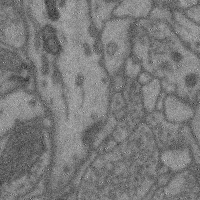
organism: Mouse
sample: Cerebral cortex